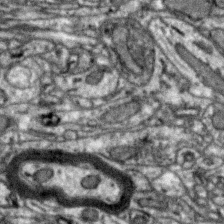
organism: Zebra finch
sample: Brain